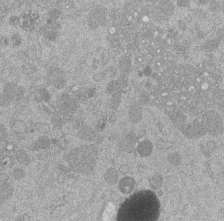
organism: Mouse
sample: Dividing mouse embryo 1 cell stage